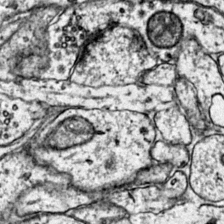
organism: Mouse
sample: Primary visual cortex